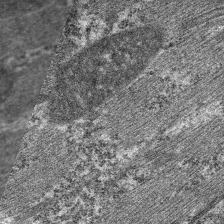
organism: C. elegans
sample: Pharynx